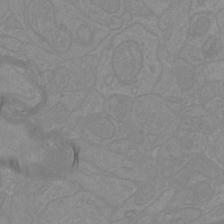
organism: Mouse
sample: Cortical neurons